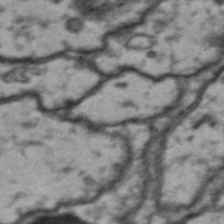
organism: Drosophila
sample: Brain